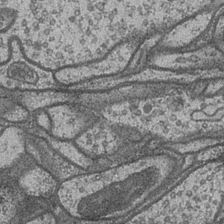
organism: Drosophila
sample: Optic medulla